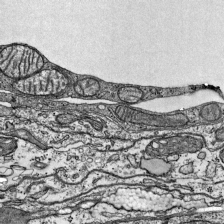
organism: Mouse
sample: Visual Cortex